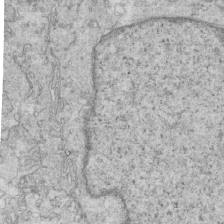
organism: Mouse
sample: Multiciliated cells